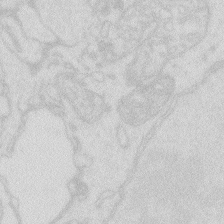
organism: Zebrafish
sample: Macrophage